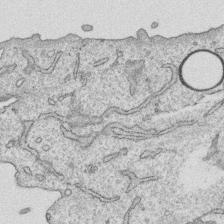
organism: Human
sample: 1205lu cells